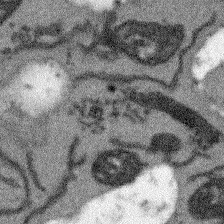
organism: Arabidopsis thaliana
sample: Root tip